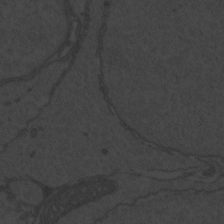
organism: Zebrafish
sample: Macrophage infected with Toxoplasma gondii